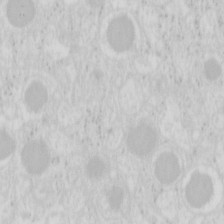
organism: Mouse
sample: Pancreas